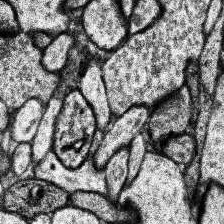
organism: Human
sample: Temporal Lobe